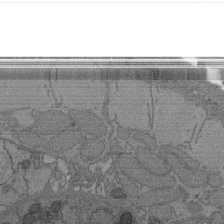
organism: C. elegans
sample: AFD neurons C. elegans